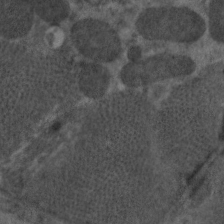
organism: C. elegans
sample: Pharynx